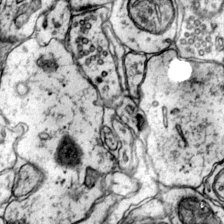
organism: Mouse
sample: Primary visual cortex